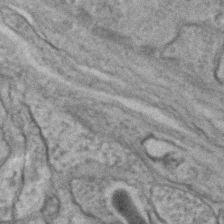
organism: C. elegans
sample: C. elegans embryo